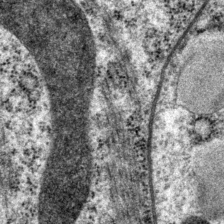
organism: P. pacificus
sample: Pharynx